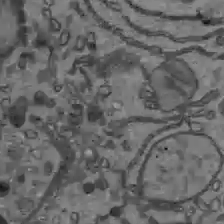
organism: C57BL Mouse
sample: Liver